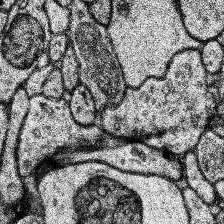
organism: Human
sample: Temporal Lobe